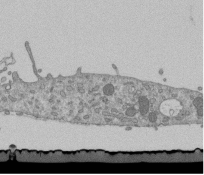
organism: Mouse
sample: ED-1 cell nuclei; centrioles